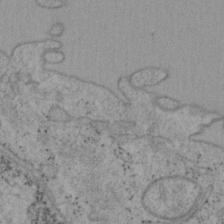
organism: Human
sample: HeLa cells